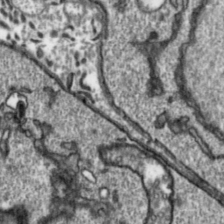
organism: Toxoplasma gondii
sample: Parasites in a vacuole inside a host cell